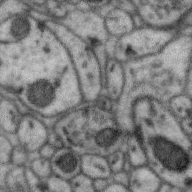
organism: Zebra finch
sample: Brain